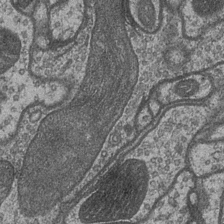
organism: Drosophila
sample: Optic medulla